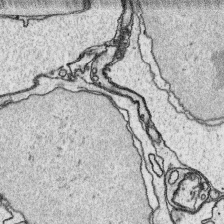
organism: Platynereis dumerilii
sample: Parapodia